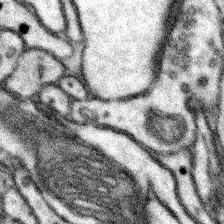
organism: Mouse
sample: Somatosensory cortex neuropil